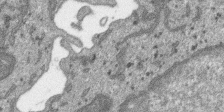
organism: Human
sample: Lung epithelial cells infected with SARS-CoV-2